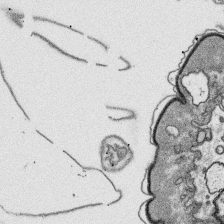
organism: Platynereis dumerilii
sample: Parapodia